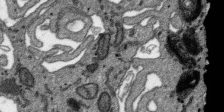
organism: Human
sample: Lung epithelial cells, uninfected (mock) control